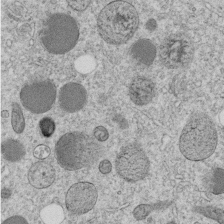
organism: C. elegans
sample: C. elegans embryo early stage